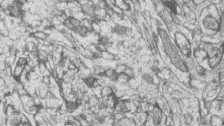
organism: Zebrafish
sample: synaptic ribbons in rod cells and cone cells